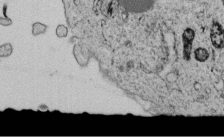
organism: C. elegans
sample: C. elegans embryo early stage